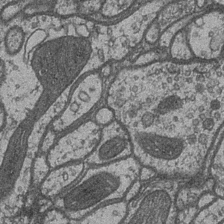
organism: Drosophila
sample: Optic medulla